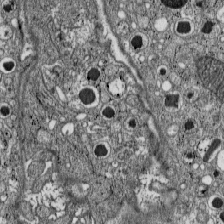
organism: C57BL Mouse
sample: Pancreatic islet